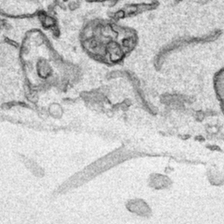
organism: Human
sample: Mitochondria in HCT116 cells